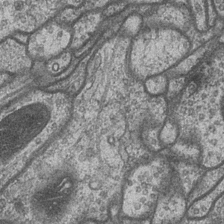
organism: Drosophila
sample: Optic medulla